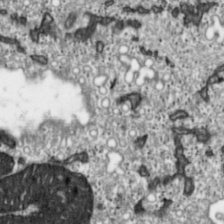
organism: Toxoplasma gondii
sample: Parasites in a vacuole inside a host cell